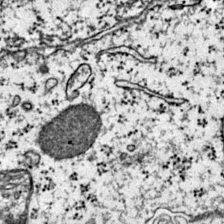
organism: Mouse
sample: Primary visual cortex